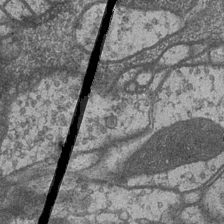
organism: Drosophila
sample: Optic medulla